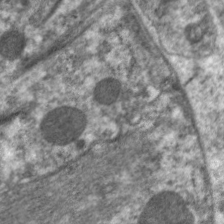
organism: C. elegans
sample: Pharynx